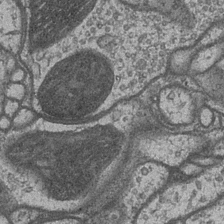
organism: Drosophila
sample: Optic medulla